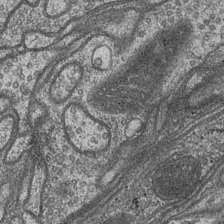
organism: Drosophila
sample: Optic medulla